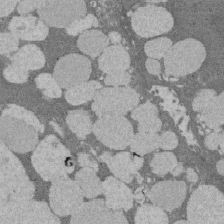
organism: Rat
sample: Salivary granule